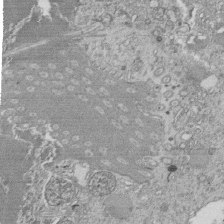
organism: Tetrahymena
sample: Cilia in tetrahymena